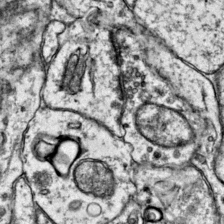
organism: Mouse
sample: Primary visual cortex